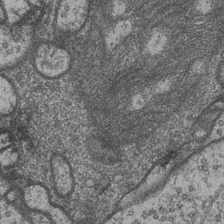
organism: Drosophila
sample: Optic medulla